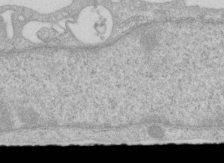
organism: Human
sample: Centriole in RPE cells